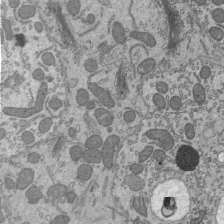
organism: Mouse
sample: Mouse epididymis efferent ductule cilia